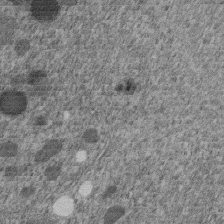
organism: C. elegans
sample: C. elegans embryo early stage